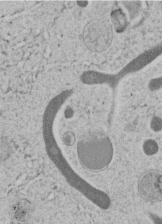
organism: C. elegans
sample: C. elegans embryo early stage